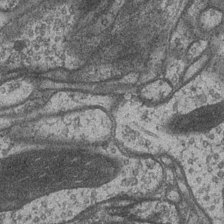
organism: Drosophila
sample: Optic medulla